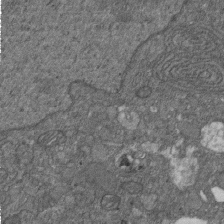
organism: Drosophila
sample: Nephrocyte